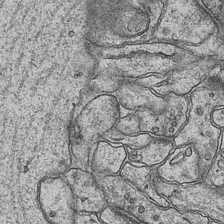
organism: Mouse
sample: CA1 Hippocampus